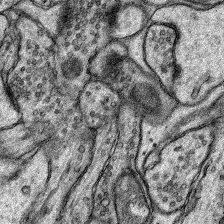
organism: Rat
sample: Hippocampus